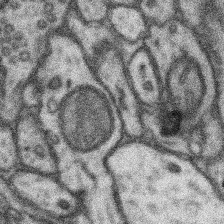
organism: Mouse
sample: Somatosensory cortex neuropil